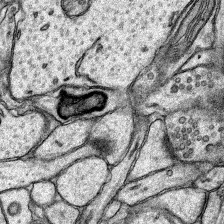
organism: Rat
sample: Hippocampus